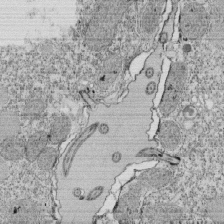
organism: Tetrahymena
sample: Cilia in tetrahymena